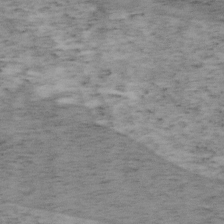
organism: Mouse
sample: OT-I killer T cells with ID8 ovarian cancer cells